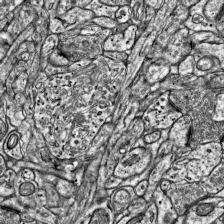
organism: Mouse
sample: Visual Cortex